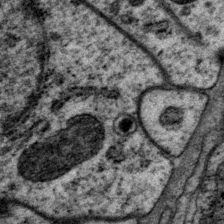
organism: P. pacificus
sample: Pharynx